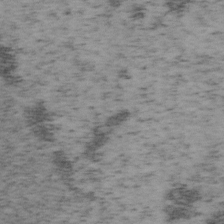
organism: Mouse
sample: OT-I killer T cells with ID8 ovarian cancer cells